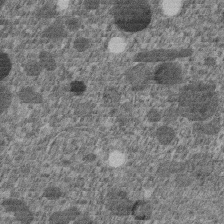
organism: C. elegans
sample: C. elegans embryo early stage